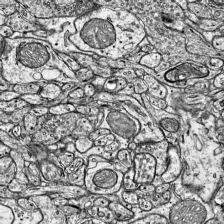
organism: Mouse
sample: Visual Cortex